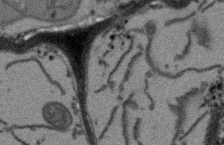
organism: Arabidopsis thaliana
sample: Root tip